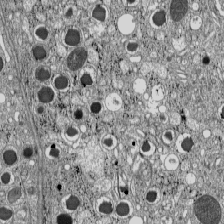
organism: C57BL Mouse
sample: Pancreatic islet